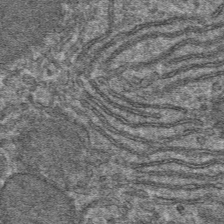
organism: Mouse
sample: Mouse hepatocytes